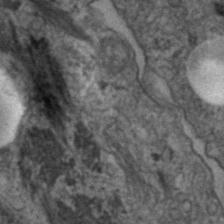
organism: Human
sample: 1205lu cells